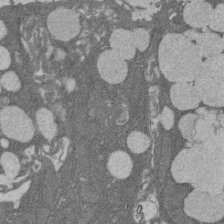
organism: Rat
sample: Salivary granule